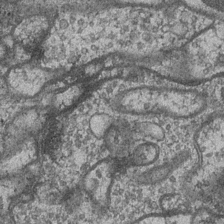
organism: Drosophila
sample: Optic medulla